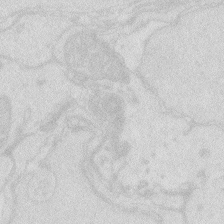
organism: Zebrafish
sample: Macrophage